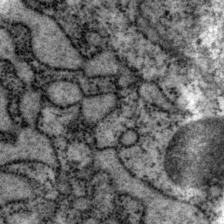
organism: P. pacificus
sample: Pharynx